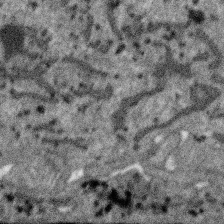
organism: Human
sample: Lung epithelial cells infected with SARS-CoV-2